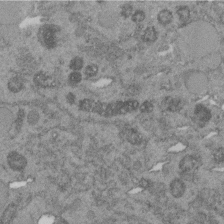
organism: C. elegans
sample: C. elegans embryo early stage